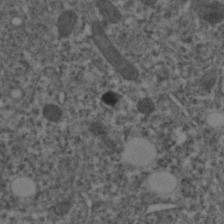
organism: C. elegans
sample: C. elegans embryo